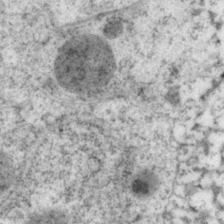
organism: P. pacificus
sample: Pharynx